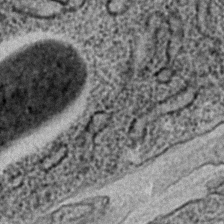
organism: C. elegans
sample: C. elegans embryo